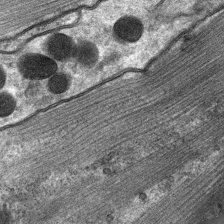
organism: C. elegans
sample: Pharynx